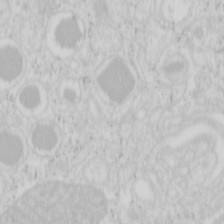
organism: Mouse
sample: Pancreas